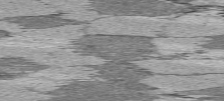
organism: C57BL Mouse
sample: Heart